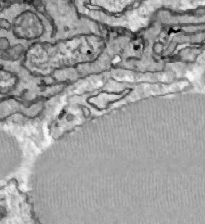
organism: Zebrafish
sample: Actinotrichia fibers